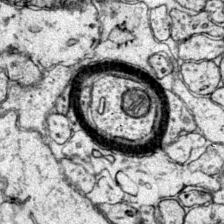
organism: Mouse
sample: Primary visual cortex